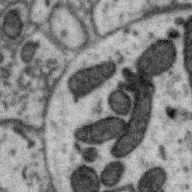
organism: Zebra finch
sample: Brain